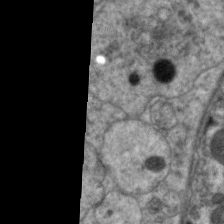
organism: C. elegans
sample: Pharynx